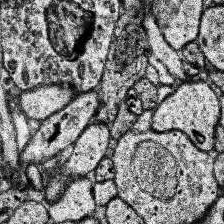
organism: Human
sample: Temporal Lobe